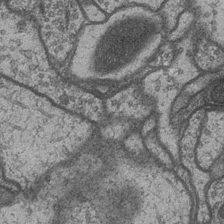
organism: Drosophila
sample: Optic medulla